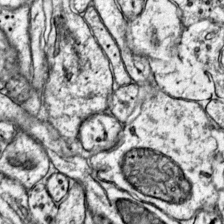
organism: Mouse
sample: Primary visual cortex